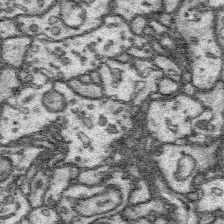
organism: Platynereis dumerilii